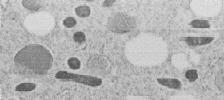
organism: C. elegans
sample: C. elegans embryo early stage